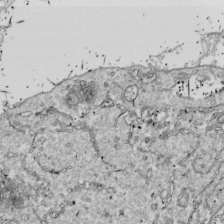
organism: Drosophila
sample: Cell division; meiosis; drosophila spermatocytes